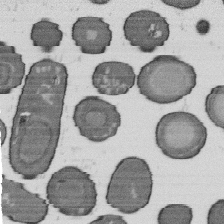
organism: B. subtilis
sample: Bacterial spore